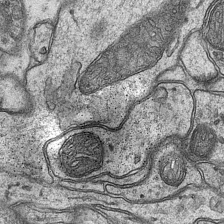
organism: Mouse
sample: CA1 Hippocampus